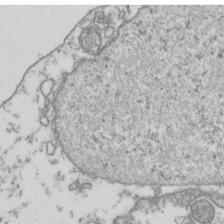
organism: Human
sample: Activated Jurkat CD4+ T cells